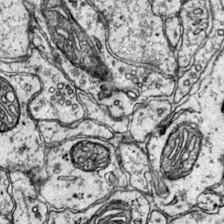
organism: Mouse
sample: Primary visual cortex